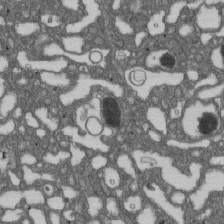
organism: Drosophila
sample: Nephrocyte